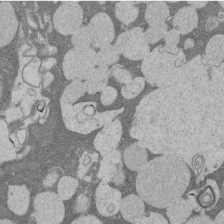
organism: Rat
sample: Salivary granule